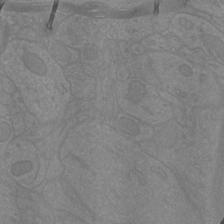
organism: Mouse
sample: Cortical neurons